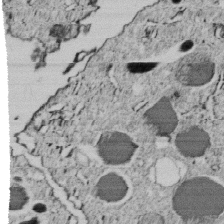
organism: C. elegans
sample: C. elegans embryo early stage